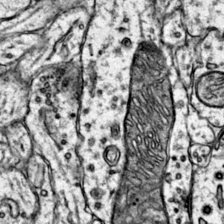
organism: Mouse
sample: Primary visual cortex